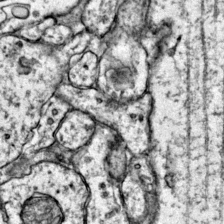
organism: Mouse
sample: Primary visual cortex